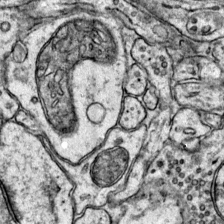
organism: Mouse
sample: Primary visual cortex